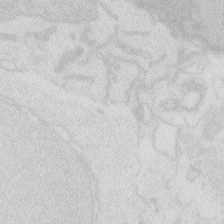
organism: Zebrafish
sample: Macrophage